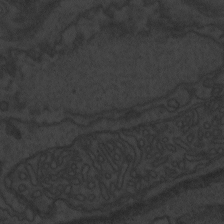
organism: Zebrafish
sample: Macrophage infected with Toxoplasma gondii